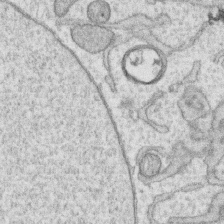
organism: Human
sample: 1205lu cells